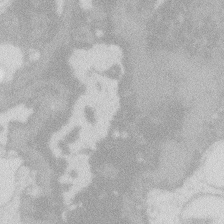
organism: Zebrafish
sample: Macrophage